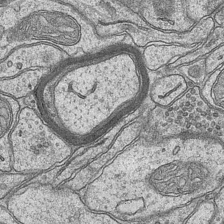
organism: Mouse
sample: CA1 Hippocampus